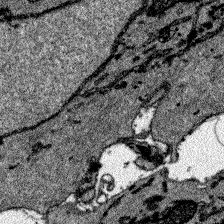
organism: Zebrafish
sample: Larval olfactory bulb